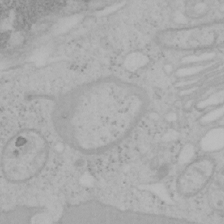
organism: Mouse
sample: OT-I killer T cells with ID8 ovarian cancer cells